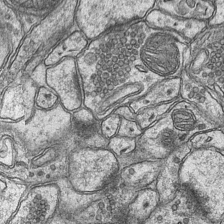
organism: Mouse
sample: CA1 Hippocampus